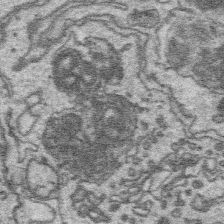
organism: Platynereis dumerilii